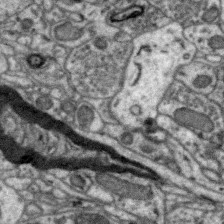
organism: Zebra finch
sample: Brain